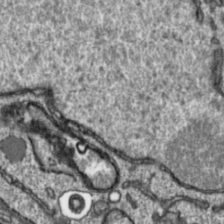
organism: Toxoplasma gondii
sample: Parasites in a vacuole inside a host cell